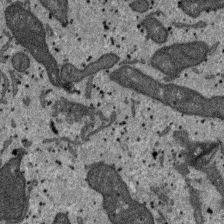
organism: Human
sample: Lung epithelial cells, uninfected (mock) control